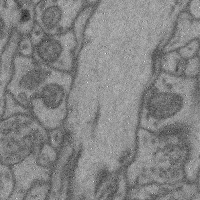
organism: Mouse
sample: Cerebral cortex